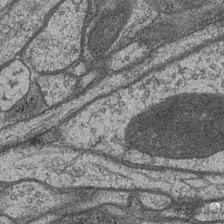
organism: Drosophila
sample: Optic medulla